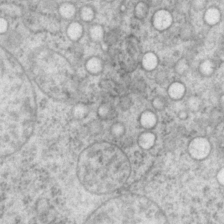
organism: P. pacificus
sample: Pharynx